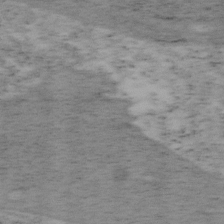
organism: Mouse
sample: OT-I killer T cells with ID8 ovarian cancer cells